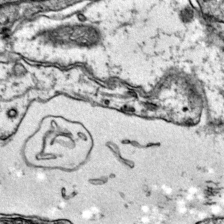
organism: Mouse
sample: Primary visual cortex